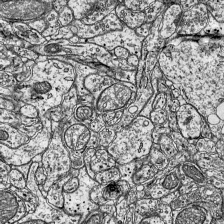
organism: Mouse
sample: Visual Cortex